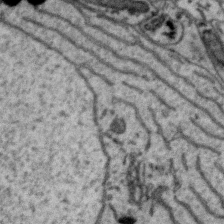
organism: Zebra finch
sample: Brain